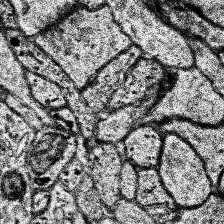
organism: Human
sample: Temporal Lobe